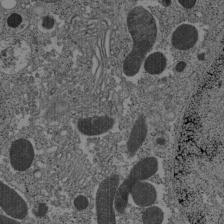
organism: C57BL Mouse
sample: Pancreatic islet